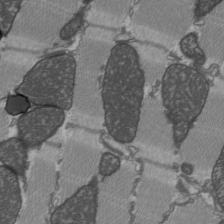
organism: C57BL Mouse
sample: Heart